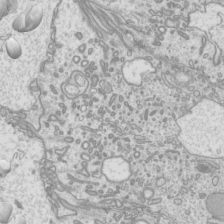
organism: Mouse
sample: Cilia; mouse epididymis